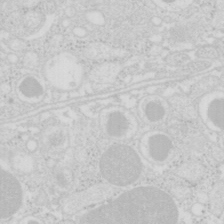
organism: Mouse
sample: Pancreas